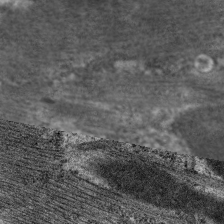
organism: C. elegans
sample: Pharynx